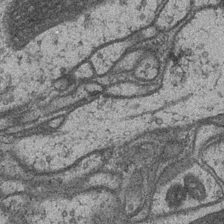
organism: Drosophila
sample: Optic medulla